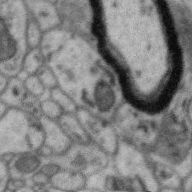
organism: Zebra finch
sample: Brain